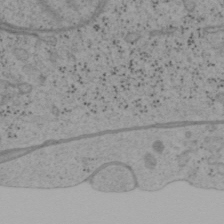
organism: Human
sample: HeLa cells